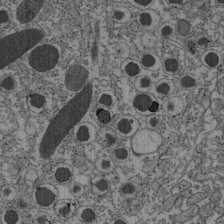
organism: C57BL Mouse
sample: Pancreatic islet